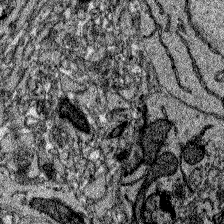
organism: Zebrafish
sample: Larval olfactory bulb